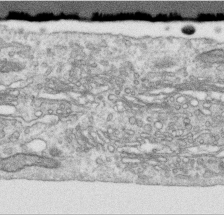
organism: Human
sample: Centriole in RPE cells